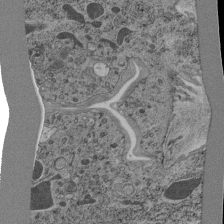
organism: C. elegans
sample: C. elegans pharynx